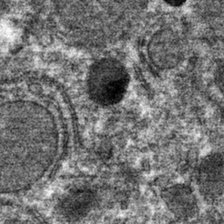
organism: Mouse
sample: Mouse hepatocytes